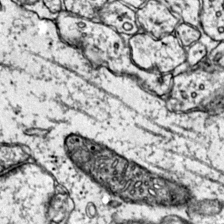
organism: Mouse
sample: Primary visual cortex